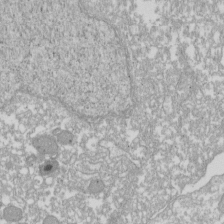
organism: Xenopus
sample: Cilia; centrioles in frog embryo cells